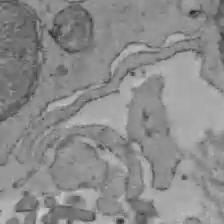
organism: C57BL Mouse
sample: Liver